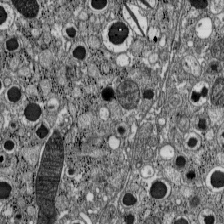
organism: C57BL Mouse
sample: Pancreatic islet